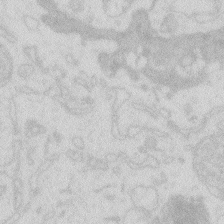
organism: Zebrafish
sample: Macrophage